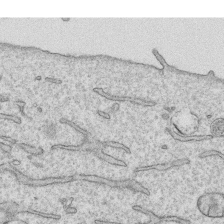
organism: Human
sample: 1205lu cells